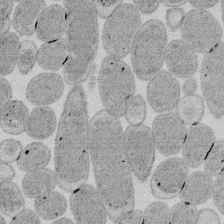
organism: E. coli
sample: Bacterial nucleoid